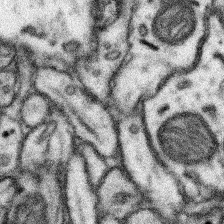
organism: Mouse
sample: Somatosensory cortex neuropil